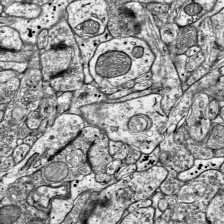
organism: Mouse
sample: Visual Cortex